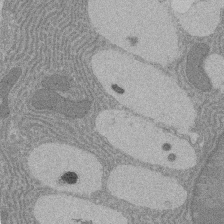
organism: Rat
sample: Salivary granule